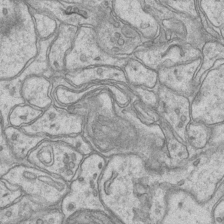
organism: Mouse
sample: CA1 Hippocampus